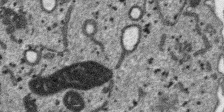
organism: Human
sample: Lung epithelial cells infected with SARS-CoV-2